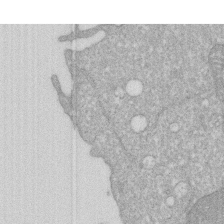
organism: Human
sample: HIV infected U937 cells